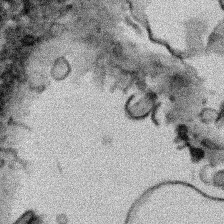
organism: Human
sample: Mitochondria in HCT116 cells